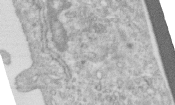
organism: Human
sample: Centriole in RPE cells